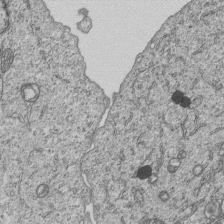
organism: Human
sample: MDA-MB-231 cells